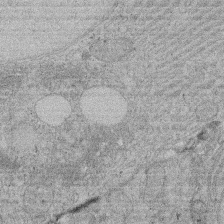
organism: Rat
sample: Salivary granule